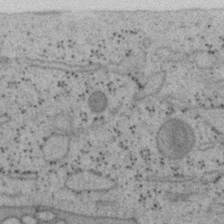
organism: Human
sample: HeLa cells